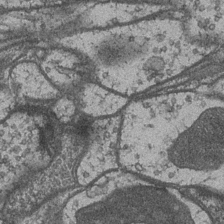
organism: Drosophila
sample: Optic medulla